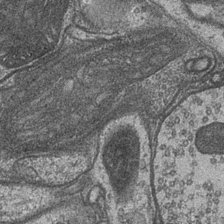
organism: Drosophila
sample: Optic medulla